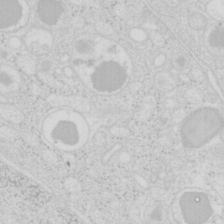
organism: Mouse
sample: Pancreas